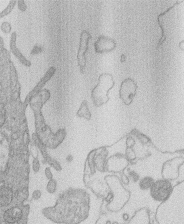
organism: Human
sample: Macrophage cells